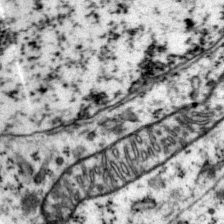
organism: Mouse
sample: Primary visual cortex